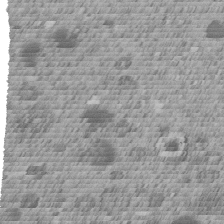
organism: C. elegans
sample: C. elegans embryo early stage